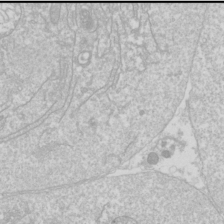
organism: Drosophila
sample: Cell division; meiosis; drosophila spermatocytes